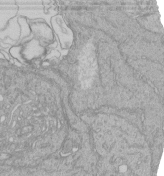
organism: Human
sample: Retinal organoid Rod and Cone cells